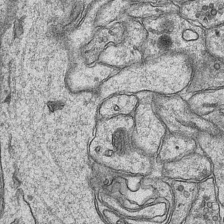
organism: Mouse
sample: CA1 Hippocampus